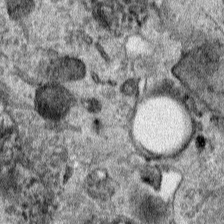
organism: Human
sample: Mitochondria in HCT116 cells